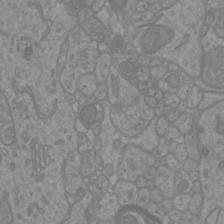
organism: Mouse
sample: Cortical neurons